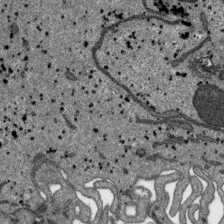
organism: Human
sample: Lung epithelial cells, uninfected (mock) control